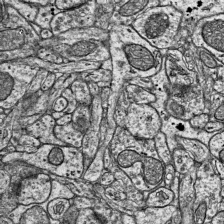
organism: Mouse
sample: Visual Cortex